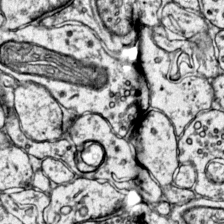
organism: Mouse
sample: Primary visual cortex